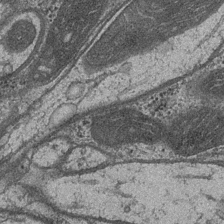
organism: Drosophila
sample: Optic medulla